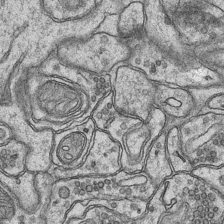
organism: Mouse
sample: CA1 Hippocampus